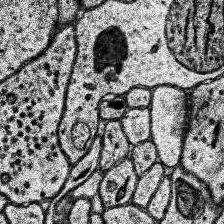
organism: Human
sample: Temporal Lobe